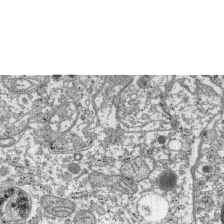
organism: C57BL Mouse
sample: Pancreatic islet